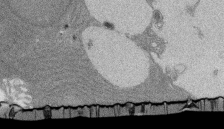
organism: Rat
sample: Salivary granule